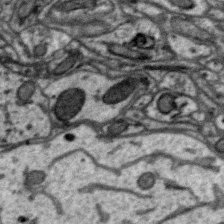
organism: Zebra finch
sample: Brain